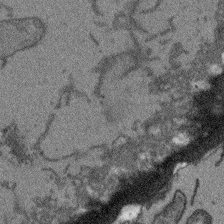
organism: Arabidopsis thaliana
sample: Root tip